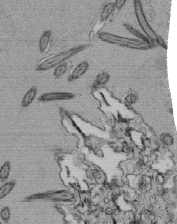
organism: Tetrahymena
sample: Cilia in tetrahymena